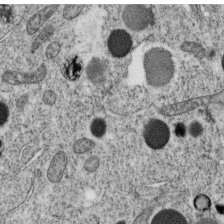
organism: C. elegans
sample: C. elegans oocyte; sperm cells